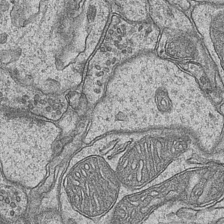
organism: Mouse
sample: CA1 Hippocampus